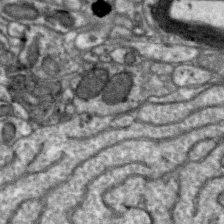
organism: Zebra finch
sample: Brain